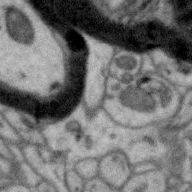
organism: Zebra finch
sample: Brain